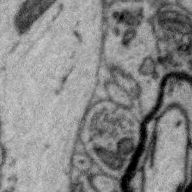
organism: Zebra finch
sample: Brain